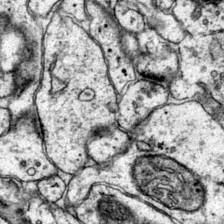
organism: Mouse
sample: Primary visual cortex